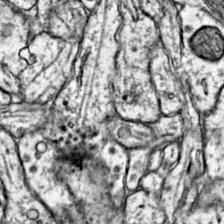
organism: Mouse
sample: Primary visual cortex